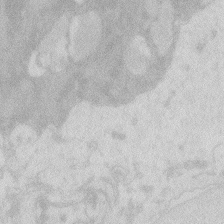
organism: Zebrafish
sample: Macrophage